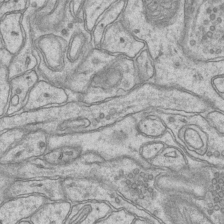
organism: Mouse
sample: CA1 Hippocampus